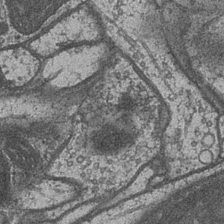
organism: Drosophila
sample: Optic medulla